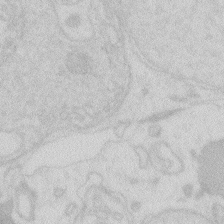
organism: Zebrafish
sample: Macrophage